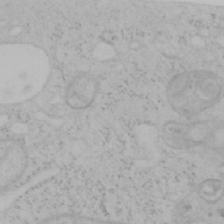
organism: Mouse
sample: OT-I killer T cells with ID8 ovarian cancer cells